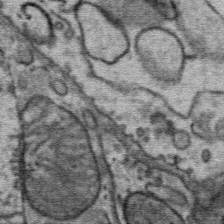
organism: Mouse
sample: Mouse Salivary gland